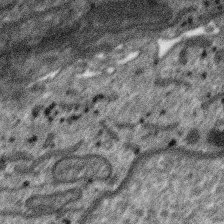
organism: Human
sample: Lung epithelial cells infected with SARS-CoV-2